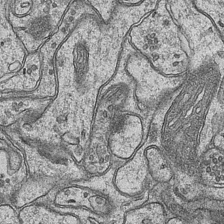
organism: Mouse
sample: CA1 Hippocampus